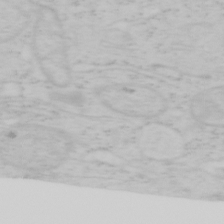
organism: Mouse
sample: OT-I killer T cells with ID8 ovarian cancer cells